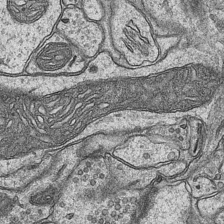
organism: Mouse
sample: CA1 Hippocampus